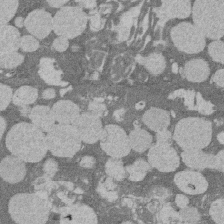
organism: Rat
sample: Salivary granule